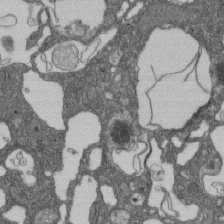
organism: Drosophila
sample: Nephrocyte